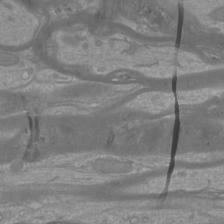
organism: Mouse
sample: Cortical neurons